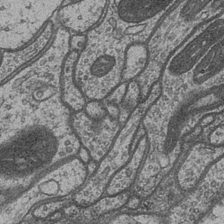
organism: Drosophila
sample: Optic medulla